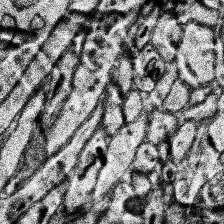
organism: Human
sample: Temporal Lobe